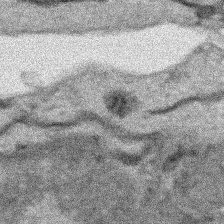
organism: Human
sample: Mitochondria in HCT116 cells